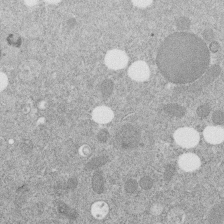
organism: C. elegans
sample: C. elegans embryo early stage